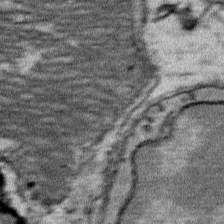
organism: Mouse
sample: Mouse Salivary gland